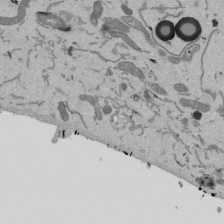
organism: Mouse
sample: ED-1 cell nuclei; centrioles